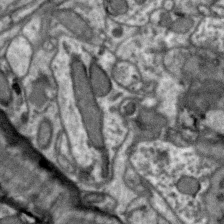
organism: Zebra finch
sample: Brain